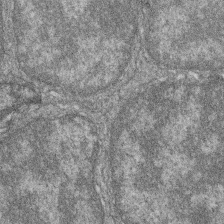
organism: Zebrafish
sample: Cilia; retinal pigment epithelium